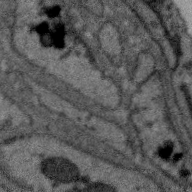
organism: Zebra finch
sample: Brain